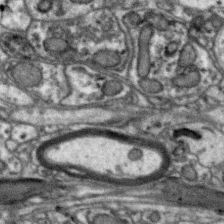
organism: Zebra finch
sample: Brain